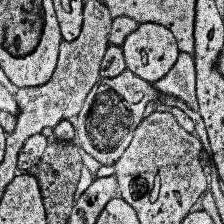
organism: Human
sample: Temporal Lobe